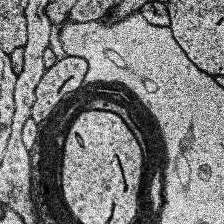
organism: Human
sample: Temporal Lobe